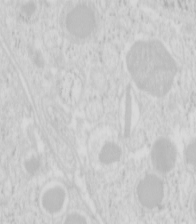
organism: Mouse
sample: Pancreas